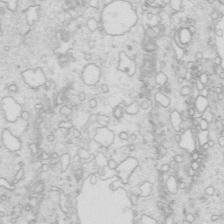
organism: Mouse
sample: Multiciliated cells